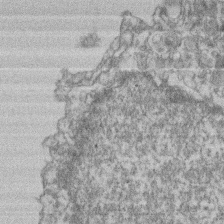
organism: Mouse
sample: T cell stromal cell synapse